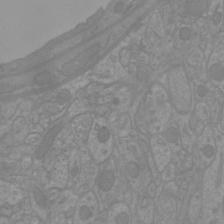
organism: Mouse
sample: Cortical neurons